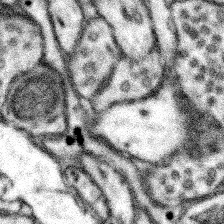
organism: Mouse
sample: Somatosensory cortex neuropil